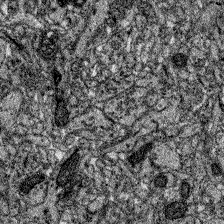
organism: Zebrafish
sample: Larval olfactory bulb